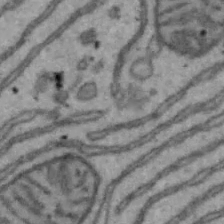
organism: Mouse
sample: Liver